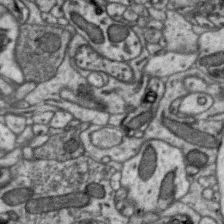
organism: Zebra finch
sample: Brain